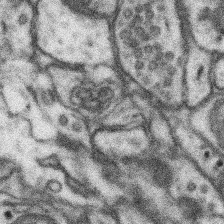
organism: Mouse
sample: Somatosensory cortex neuropil